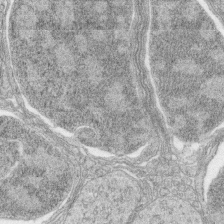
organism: Zebrafish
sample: synaptic ribbons in rod cells and cone cells